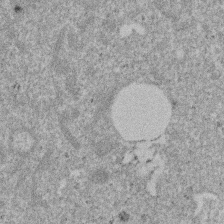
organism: Mouse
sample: Dividing mouse embryo 1 cell stage